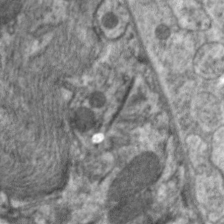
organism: C. elegans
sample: Pharynx